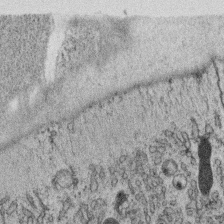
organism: C. elegans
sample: C. elegans oocyte; sperm cells